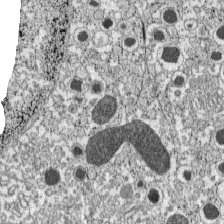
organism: C57BL Mouse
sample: Pancreatic islet